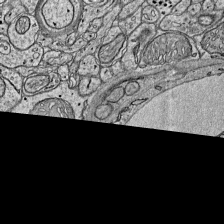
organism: Mouse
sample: Visual Cortex